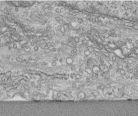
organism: Human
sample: Centriole in RPE cells